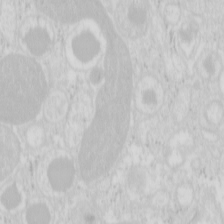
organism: Mouse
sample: Pancreas